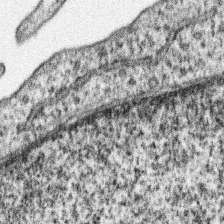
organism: Human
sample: HeLa cells